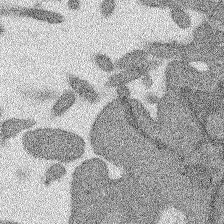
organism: Human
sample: HeLa cells